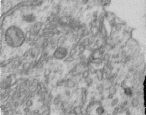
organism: Human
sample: Centriole in RPE cells